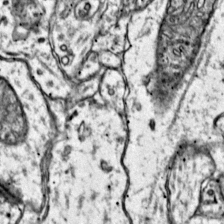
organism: Mouse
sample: Primary visual cortex